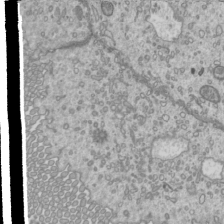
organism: Mouse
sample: Cilia; mouse epididymis